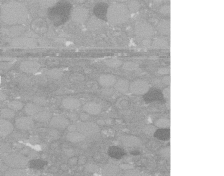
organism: C. elegans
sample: C. elegans oocyte; sperm cells